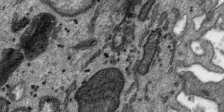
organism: Human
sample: Lung epithelial cells, uninfected (mock) control